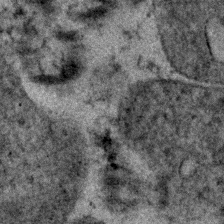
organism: Human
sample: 1205lu cells